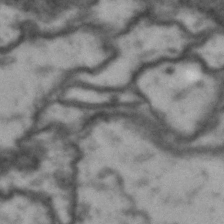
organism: Drosophila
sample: Brain